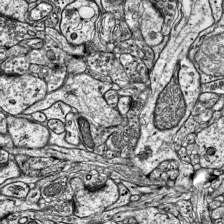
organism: Mouse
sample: Visual Cortex